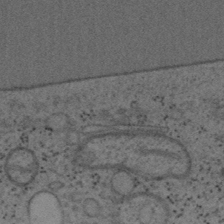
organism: Human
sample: HeLa cells